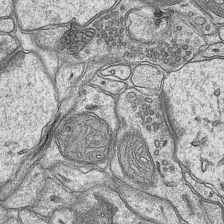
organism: Mouse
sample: CA1 Hippocampus